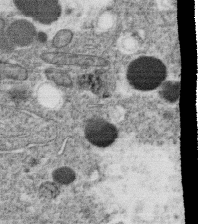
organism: C. elegans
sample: C. elegans oocyte; sperm cells